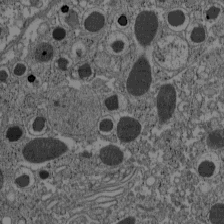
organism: C57BL Mouse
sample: Pancreatic islet